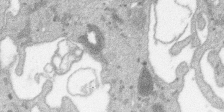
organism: Human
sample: Lung epithelial cells infected with SARS-CoV-2